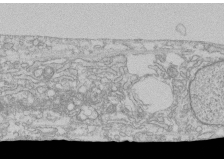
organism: Human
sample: CRL-1474